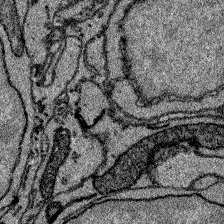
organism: Zebrafish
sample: Larval olfactory bulb